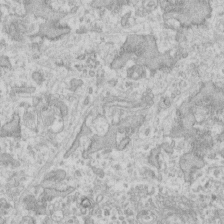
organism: Human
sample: Fibroblast cells